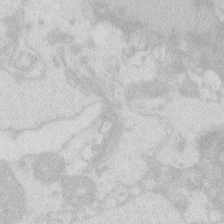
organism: Zebrafish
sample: Macrophage